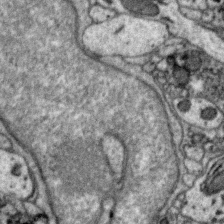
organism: Zebra finch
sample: Brain